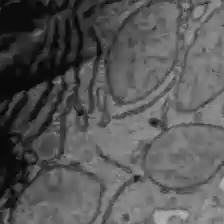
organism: C57BL Mouse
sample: Liver